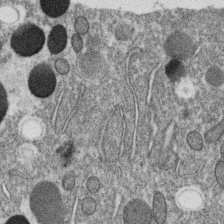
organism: C. elegans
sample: C. elegans oocyte; sperm cells